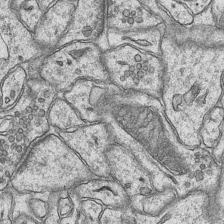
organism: Mouse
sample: CA1 Hippocampus